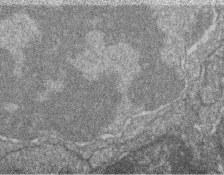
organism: Zebrafish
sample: Cilia; retinal pigment epithelium